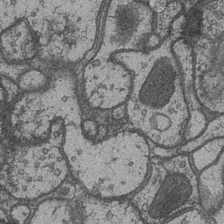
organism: Drosophila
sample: Optic medulla